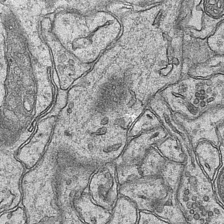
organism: Mouse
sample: CA1 Hippocampus